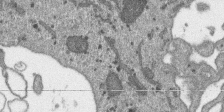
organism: Human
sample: Lung epithelial cells infected with SARS-CoV-2